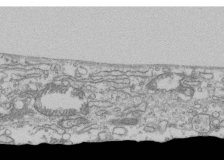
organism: Human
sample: Fibroblast cells